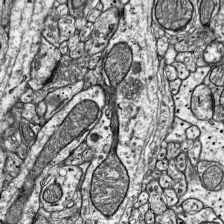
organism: Mouse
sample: Visual Cortex